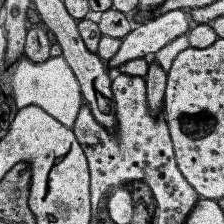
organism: Human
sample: Temporal Lobe